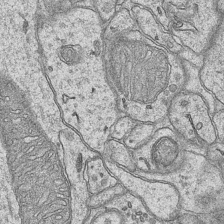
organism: Mouse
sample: CA1 Hippocampus